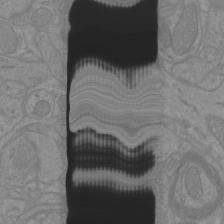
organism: Mouse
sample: Cortical neurons